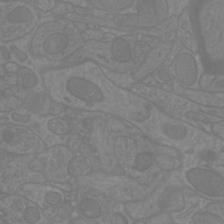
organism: Mouse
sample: Cortical neurons